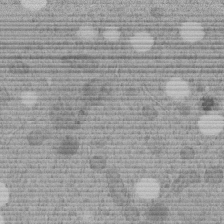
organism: C. elegans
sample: C. elegans embryo early stage